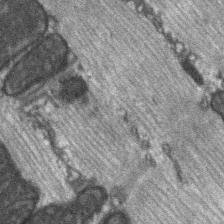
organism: C57BL Mouse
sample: Soleus